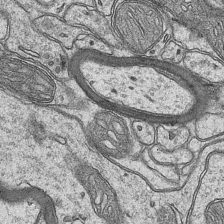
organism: Mouse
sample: CA1 Hippocampus